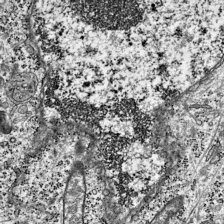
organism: Mouse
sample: Visual Cortex